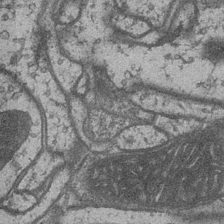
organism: Drosophila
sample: Optic medulla